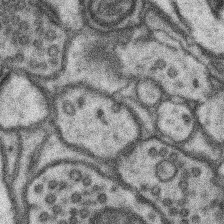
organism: Mouse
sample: Somatosensory cortex neuropil